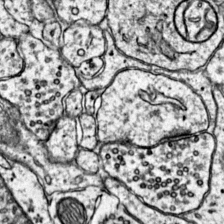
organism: Mouse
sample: Primary visual cortex